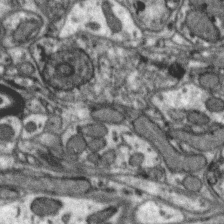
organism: Zebra finch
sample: Brain